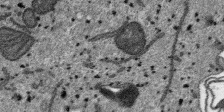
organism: Human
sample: Lung epithelial cells, uninfected (mock) control